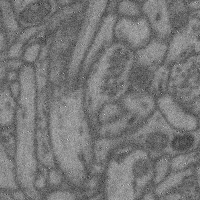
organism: Mouse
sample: Cerebral cortex